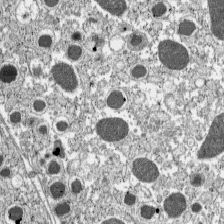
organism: C57BL Mouse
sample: Pancreatic islet